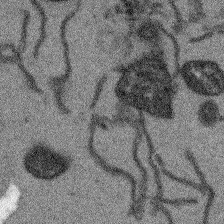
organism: Arabidopsis thaliana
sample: Root tip